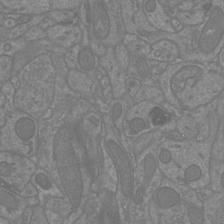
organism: Mouse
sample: Cortical neurons